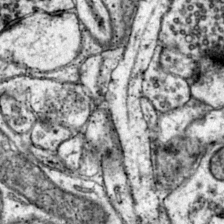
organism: Mouse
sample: Primary visual cortex